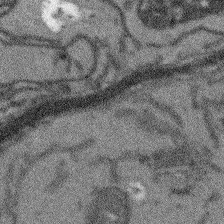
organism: Arabidopsis thaliana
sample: Root tip